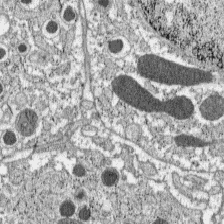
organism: C57BL Mouse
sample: Pancreatic islet